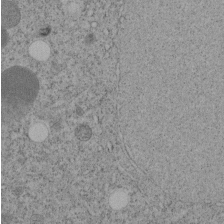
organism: C. elegans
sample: C. elegans embryo early stage